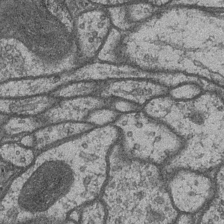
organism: Drosophila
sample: Optic medulla